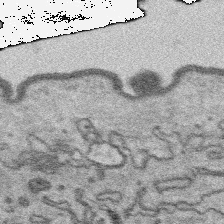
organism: Platynereis dumerilii